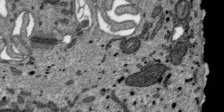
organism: Human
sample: Lung epithelial cells, uninfected (mock) control